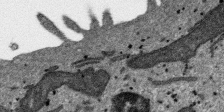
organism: Human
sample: Lung epithelial cells, uninfected (mock) control